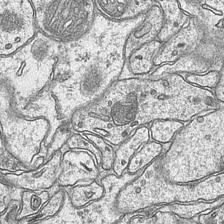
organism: Mouse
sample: CA1 Hippocampus